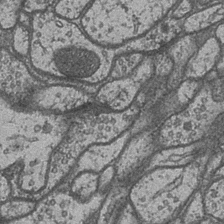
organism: Drosophila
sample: Optic medulla